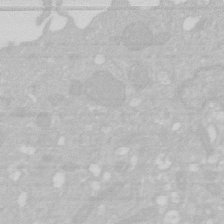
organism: Human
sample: HIV infected U937 cells